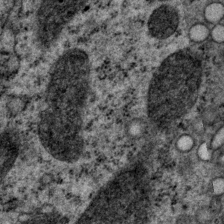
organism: P. pacificus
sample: Pharynx